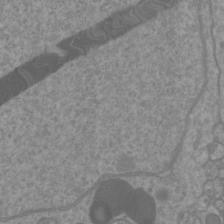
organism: Mouse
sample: Cortical neurons